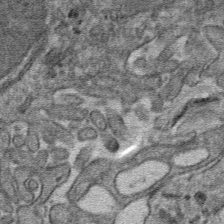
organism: Mouse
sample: Mouse hepatocytes